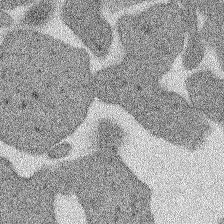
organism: Human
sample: HeLa cells